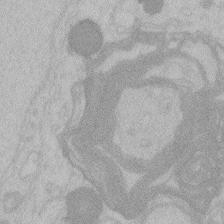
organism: Zebrafish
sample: Macrophage infected with Toxoplasma gondii